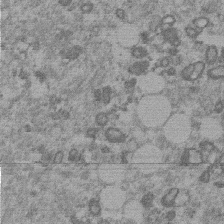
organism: Mouse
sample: Dividing mouse embryo 1 cell stage